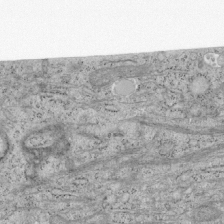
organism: Human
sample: HeLa cells